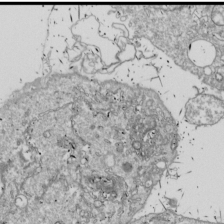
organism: Drosophila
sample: Cell division; meiosis; drosophila spermatocytes